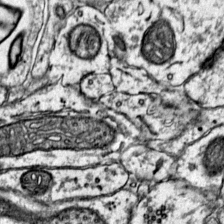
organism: Mouse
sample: Primary visual cortex